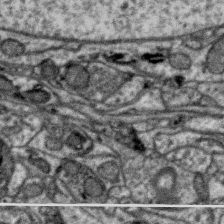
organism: Zebra finch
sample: Brain